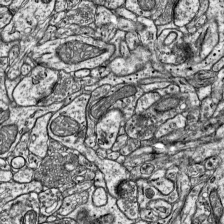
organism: Mouse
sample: Visual Cortex